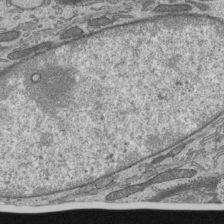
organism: Mouse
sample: Mouse epididymis efferent ductule cilia